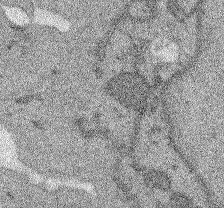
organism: Human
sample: HeLa cells